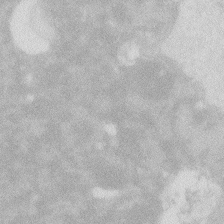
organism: Zebrafish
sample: Macrophage